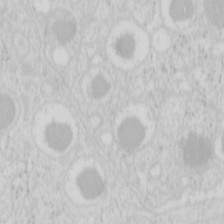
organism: Mouse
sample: Pancreas